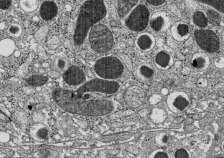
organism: C57BL Mouse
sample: Pancreatic islet